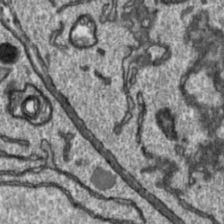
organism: Toxoplasma gondii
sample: Parasites in a vacuole inside a host cell